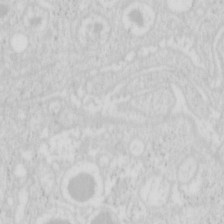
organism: Mouse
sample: Pancreas